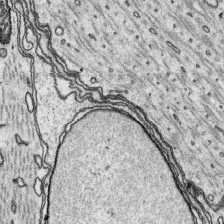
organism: Platynereis dumerilii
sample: Parapodia